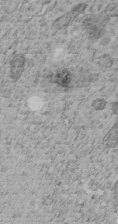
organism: C. elegans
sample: C. elegans embryo early stage